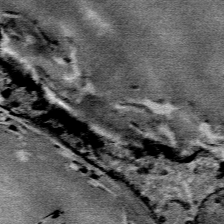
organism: Mouse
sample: Mouse Salivary gland